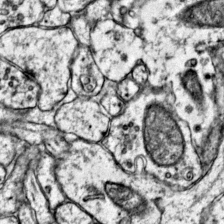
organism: Mouse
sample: Primary visual cortex